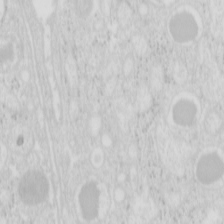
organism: Mouse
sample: Pancreas